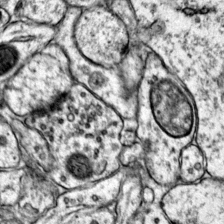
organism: Mouse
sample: Primary visual cortex